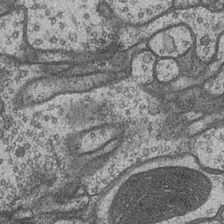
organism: Drosophila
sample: Optic medulla